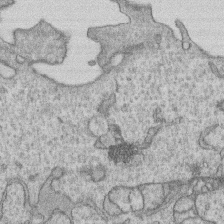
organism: Human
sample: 1205lu cells